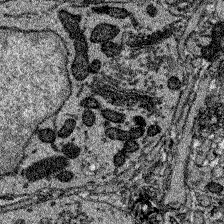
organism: Zebrafish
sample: Larval olfactory bulb